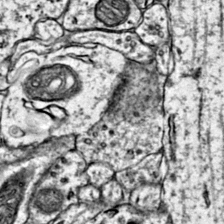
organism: Mouse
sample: Primary visual cortex